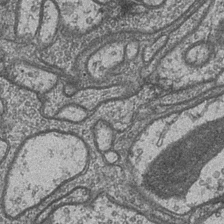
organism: Drosophila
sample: Optic medulla